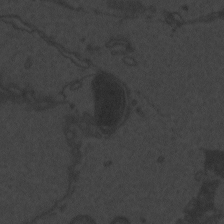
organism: Zebrafish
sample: Macrophage infected with Toxoplasma gondii